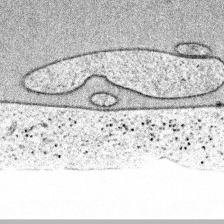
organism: Human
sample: HeLa cells